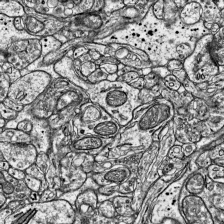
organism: Mouse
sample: Visual Cortex